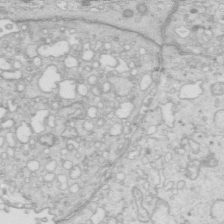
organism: Mouse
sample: Multiciliated cells